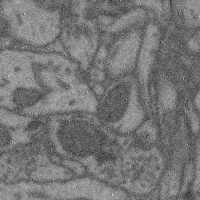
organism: Mouse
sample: Cerebral cortex